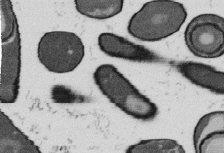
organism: B. subtilis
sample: Bacterial spore